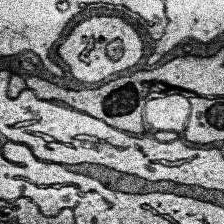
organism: Human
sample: Temporal Lobe